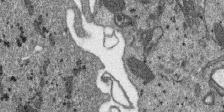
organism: Human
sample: Lung epithelial cells infected with SARS-CoV-2